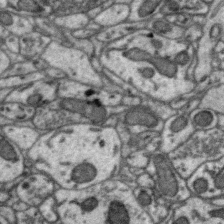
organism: Zebra finch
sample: Brain